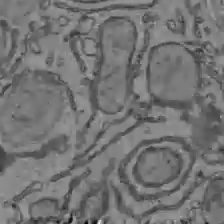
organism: C57BL Mouse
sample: Liver